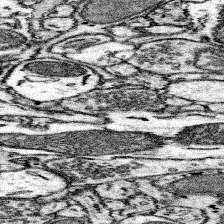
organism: Mouse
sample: Somatosensory cortex neuropil